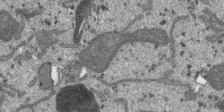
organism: Human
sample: Lung epithelial cells infected with SARS-CoV-2